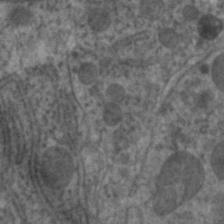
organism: C. elegans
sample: Pharynx